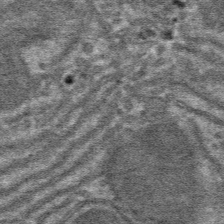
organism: Mouse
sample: Mouse hepatocytes